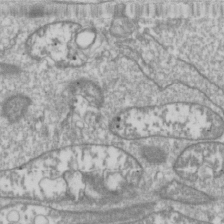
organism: Drosophila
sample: Cell division; meiosis; drosophila spermatocytes